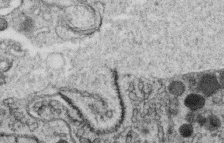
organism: C. elegans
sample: C. elegans oocyte; sperm cells